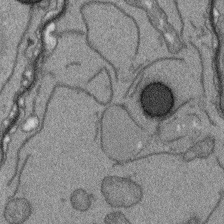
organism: Arabidopsis thaliana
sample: Root tip